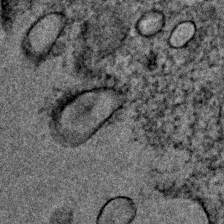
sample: Trachea